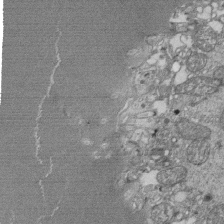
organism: Tetrahymena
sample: Cilia in tetrahymena